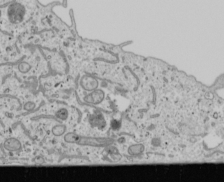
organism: Human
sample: Mitochondria in U2OS cells